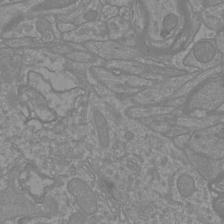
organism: Mouse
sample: Cortical neurons